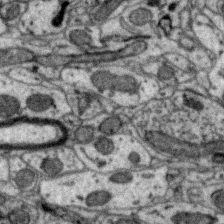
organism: Zebra finch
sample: Brain